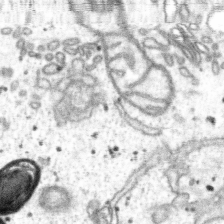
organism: Human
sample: HeLa cells